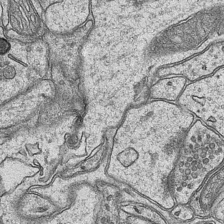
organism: Mouse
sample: CA1 Hippocampus